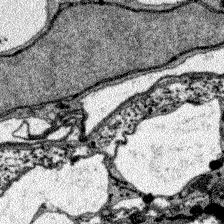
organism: Zebrafish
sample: Larval olfactory bulb